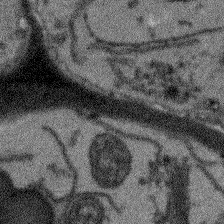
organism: Arabidopsis thaliana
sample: Root tip